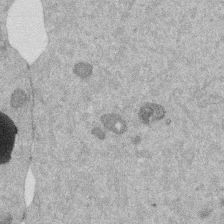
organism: Mouse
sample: Dividing mouse embryo 1 cell stage